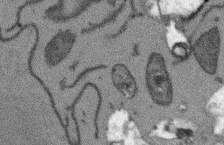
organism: Arabidopsis thaliana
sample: Root tip